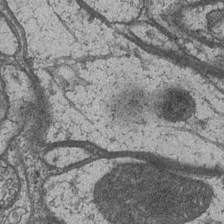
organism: Drosophila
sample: Optic medulla